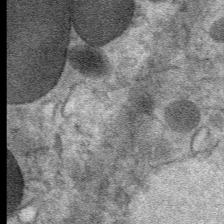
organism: Mouse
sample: Mouse Salivary gland